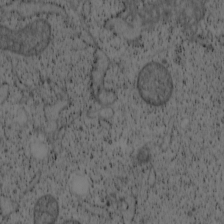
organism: African green monkey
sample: COS-7 cells